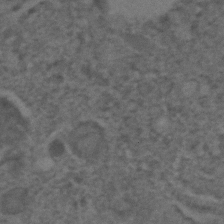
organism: C. elegans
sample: C. elegans embryo